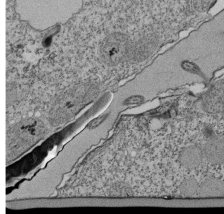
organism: Tetrahymena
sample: Cilia in tetrahymena